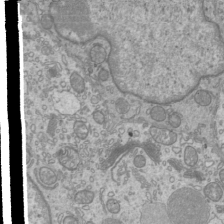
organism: Mouse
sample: Cilia; mouse epididymis